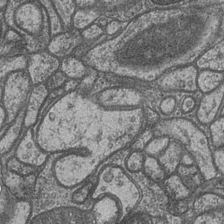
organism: Drosophila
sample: Optic medulla